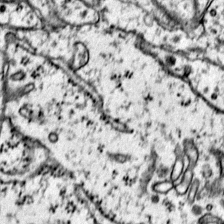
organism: Mouse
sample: Primary visual cortex